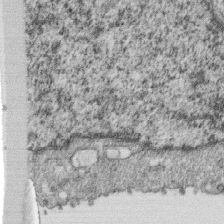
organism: African green monkey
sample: Vero E6 cells infected with SARS-CoV-2